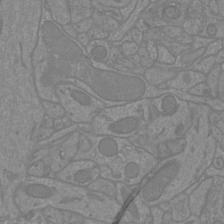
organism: Mouse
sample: Cortical neurons